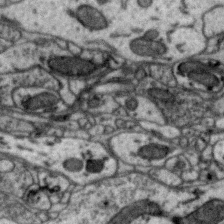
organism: Zebra finch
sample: Brain